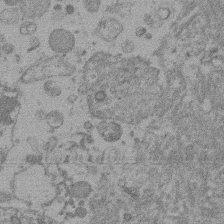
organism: Mouse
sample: Dividing mouse embryo 1 cell stage